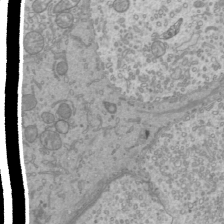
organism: Mouse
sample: Cilia; mouse epididymis